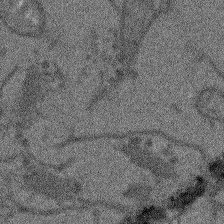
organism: Arabidopsis thaliana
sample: Root tip